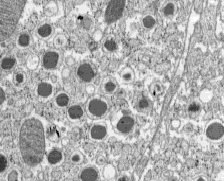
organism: C57BL Mouse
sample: Pancreatic islet